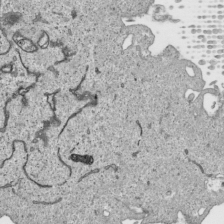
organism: Human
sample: Mitochondria in HCT116 cells